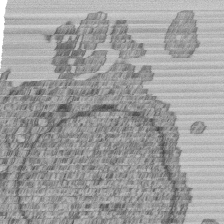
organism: Human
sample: MDA-MB-231 cells